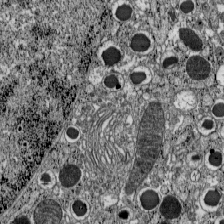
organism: C57BL Mouse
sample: Pancreatic islet